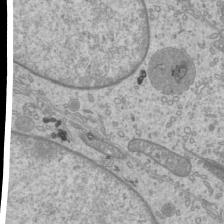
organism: Mouse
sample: Cilia; mouse epididymis